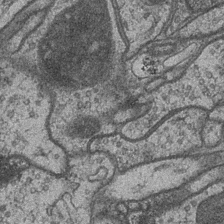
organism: Drosophila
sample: Optic medulla